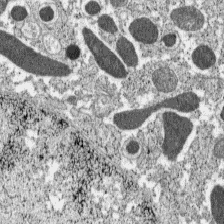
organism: C57BL Mouse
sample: Pancreatic islet